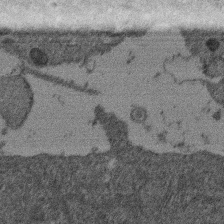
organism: Mouse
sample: Dividing mouse embryo 1 cell stage